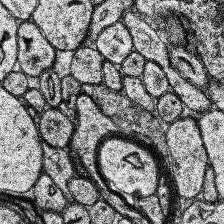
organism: Human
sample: Temporal Lobe